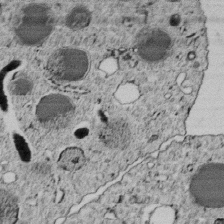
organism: C. elegans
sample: C. elegans embryo early stage